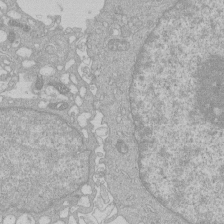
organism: Human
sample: Macrophage cells